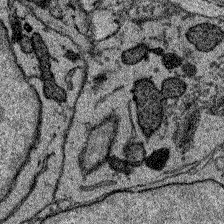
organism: Zebrafish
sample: Larval olfactory bulb